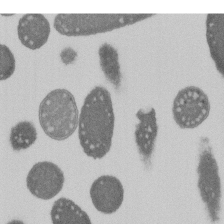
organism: E. coli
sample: Bacterial nucleoid